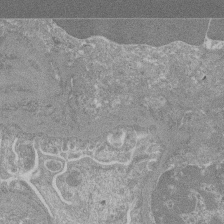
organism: Mouse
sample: Glomerulus